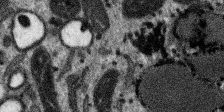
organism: Human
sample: Lung epithelial cells infected with SARS-CoV-2